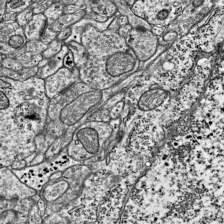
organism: Mouse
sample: Visual Cortex